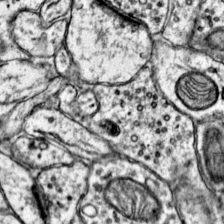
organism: Mouse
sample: Primary visual cortex